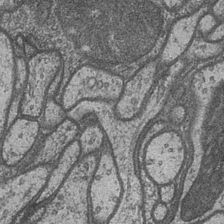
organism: Drosophila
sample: Optic medulla